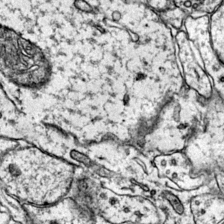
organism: Mouse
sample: Primary visual cortex